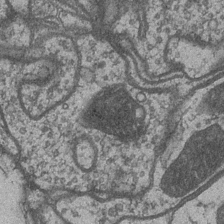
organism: Drosophila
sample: Optic medulla